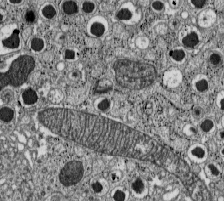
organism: C57BL Mouse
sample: Pancreatic islet